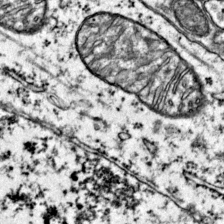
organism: Mouse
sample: Primary visual cortex